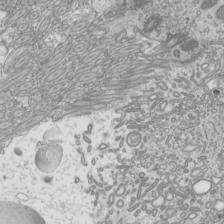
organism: Mouse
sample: Cilia; mouse epididymis